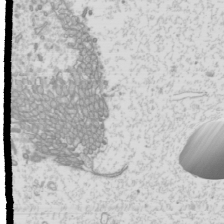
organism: Mouse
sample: Cilia; mouse epididymis